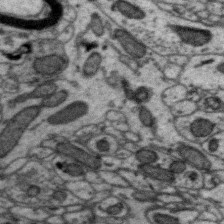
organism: Zebra finch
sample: Brain